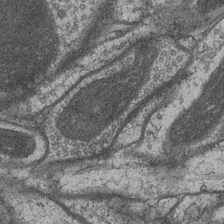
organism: Drosophila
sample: Optic medulla